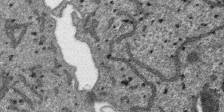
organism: Human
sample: Lung epithelial cells infected with SARS-CoV-2